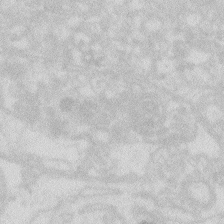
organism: Zebrafish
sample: Macrophage